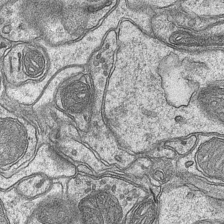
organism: Mouse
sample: CA1 Hippocampus